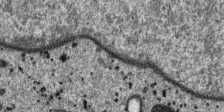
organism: Human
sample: Lung epithelial cells infected with SARS-CoV-2